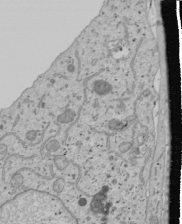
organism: Human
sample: Mitochondria in U2OS cells